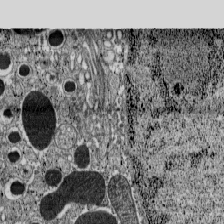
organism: C57BL Mouse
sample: Pancreatic islet